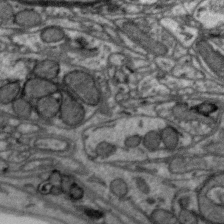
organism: Zebra finch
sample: Brain